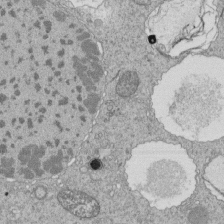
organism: Tetrahymena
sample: Cilia in tetrahymena